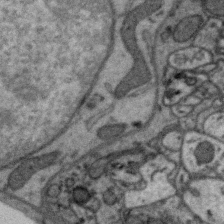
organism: Zebra finch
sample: Brain